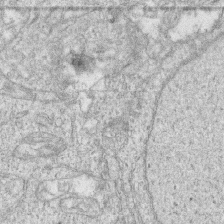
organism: Human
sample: HeLa cell HIV synapse